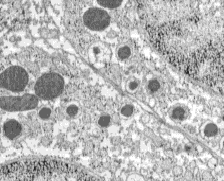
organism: C57BL Mouse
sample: Pancreatic islet